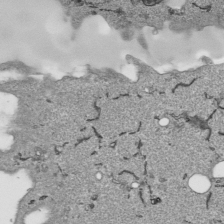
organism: Human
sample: Mitochondria in HCT116 cells